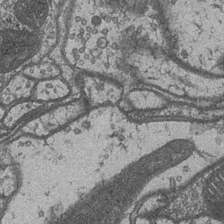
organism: Drosophila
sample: Optic medulla